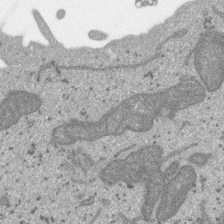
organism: Human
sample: Lung epithelial cells infected with SARS-CoV-2